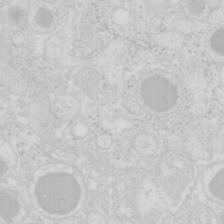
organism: Mouse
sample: Pancreas